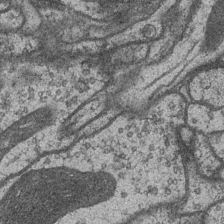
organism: Drosophila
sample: Optic medulla